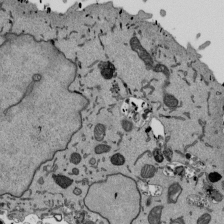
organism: Mouse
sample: ED-1 cell nuclei; centrioles